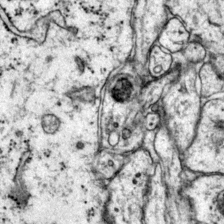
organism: Mouse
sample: Primary visual cortex